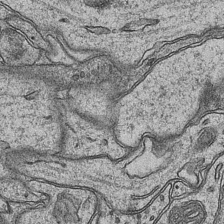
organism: Mouse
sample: CA1 Hippocampus